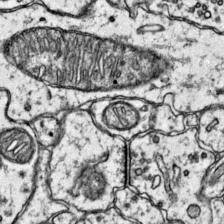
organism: Mouse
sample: Primary visual cortex